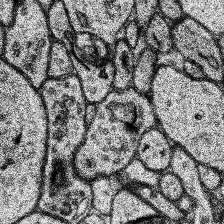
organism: Human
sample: Temporal Lobe